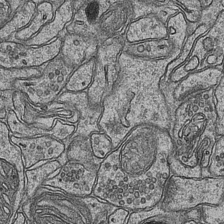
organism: Mouse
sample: CA1 Hippocampus